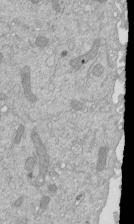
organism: Mouse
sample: ED-1 cell nuclei; centrioles